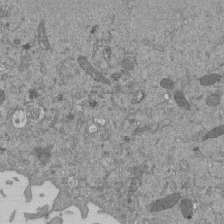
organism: Mouse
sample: ED-1 cell nuclei; centrioles